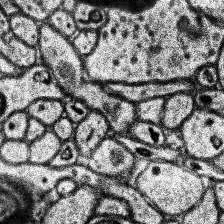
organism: Human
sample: Temporal Lobe